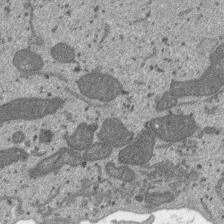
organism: Human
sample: Lung epithelial cells infected with SARS-CoV-2